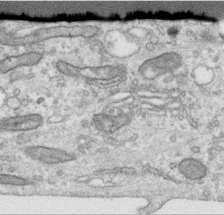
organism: Human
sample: Centriole in RPE cells